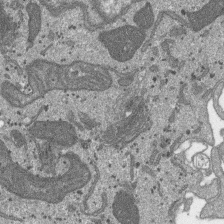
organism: Human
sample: Lung epithelial cells infected with SARS-CoV-2